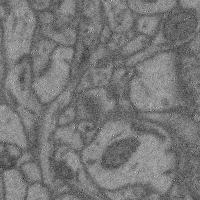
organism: Mouse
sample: Cerebral cortex